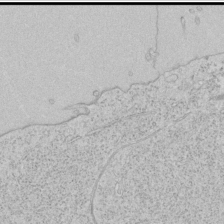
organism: Human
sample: Mitochondria in HCT116 cells